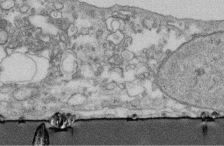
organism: Human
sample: Centriole in fibroblast cells